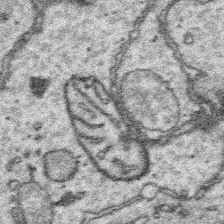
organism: Platynereis dumerilii